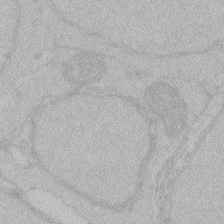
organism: Zebrafish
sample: Macrophage infected with Toxoplasma gondii